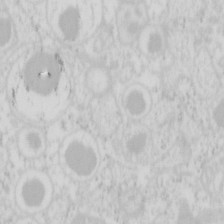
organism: Mouse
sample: Pancreas